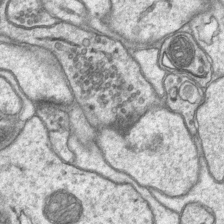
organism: Mouse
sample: CA1 Hippocampus